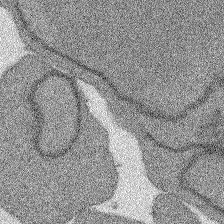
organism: Human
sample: HeLa cells